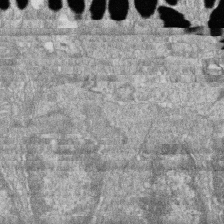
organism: Zebrafish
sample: Cilia; retinal pigment epithelium